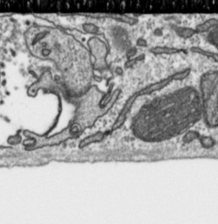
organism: Toxoplasma gondii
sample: Parasites in a vacuole inside a host cell